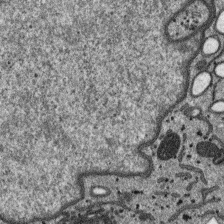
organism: Human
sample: Lung epithelial cells infected with SARS-CoV-2